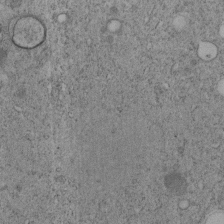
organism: C. elegans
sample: C. elegans embryo early stage